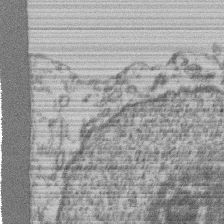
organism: Mouse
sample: T cell stromal cell synapse